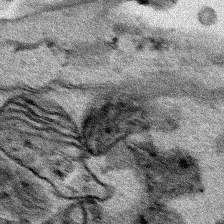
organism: Human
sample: Mitochondria in HCT116 cells